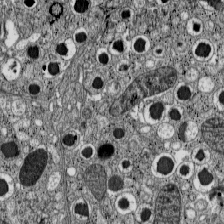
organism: C57BL Mouse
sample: Pancreatic islet